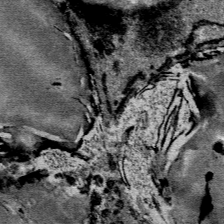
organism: Mouse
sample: Mouse Salivary gland